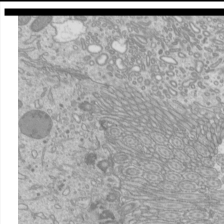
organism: Mouse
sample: Cilia; mouse epididymis